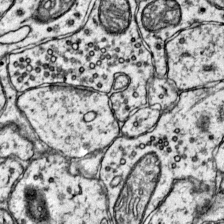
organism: Mouse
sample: Primary visual cortex